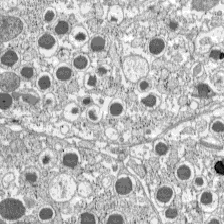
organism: C57BL Mouse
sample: Pancreatic islet